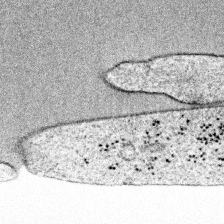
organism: Human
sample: HeLa cells